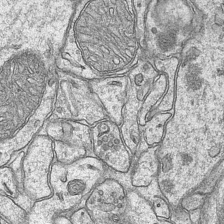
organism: Mouse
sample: CA1 Hippocampus